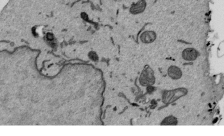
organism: Mouse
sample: ED-1 cell nuclei; centrioles